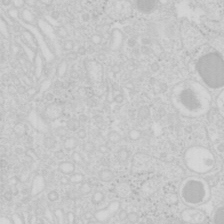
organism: Mouse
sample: Pancreas